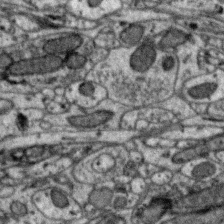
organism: Zebra finch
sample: Brain